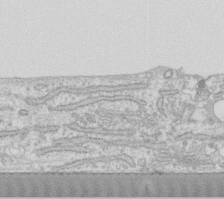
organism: Human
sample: Fibroblast cells